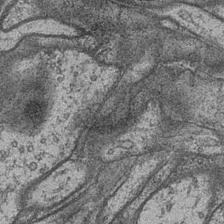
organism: Drosophila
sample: Optic medulla